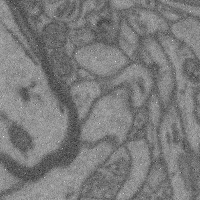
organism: Mouse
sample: Cerebral cortex